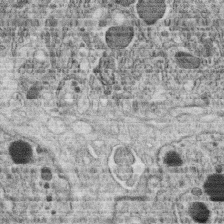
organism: C. elegans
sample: C. elegans oocyte; sperm cells